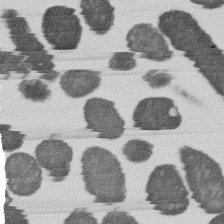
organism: E. coli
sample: Bacterial nucleoid